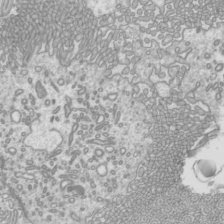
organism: Mouse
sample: Cilia; mouse epididymis